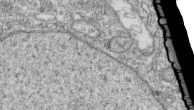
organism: Human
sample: HeLa cell HIV synapse